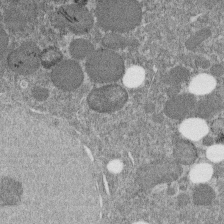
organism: C. elegans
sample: C. elegans embryo early stage